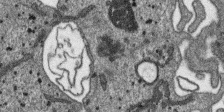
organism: Human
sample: Lung epithelial cells infected with SARS-CoV-2